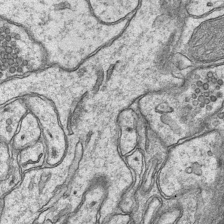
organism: Mouse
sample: CA1 Hippocampus